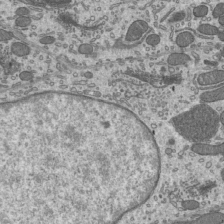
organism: Mouse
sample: Mouse epididymis efferent ductule cilia